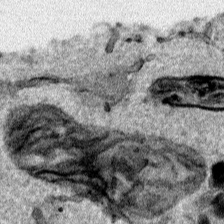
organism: Human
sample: Mitochondria in HCT116 cells